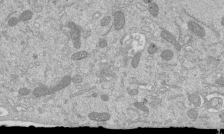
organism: Mouse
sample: ED-1 cell nuclei; centrioles